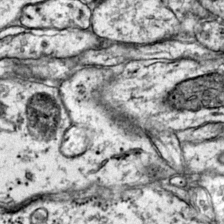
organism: Mouse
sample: Primary visual cortex